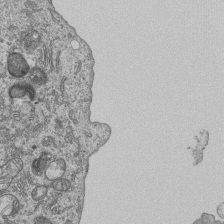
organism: Human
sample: MDA-MB-231 cells